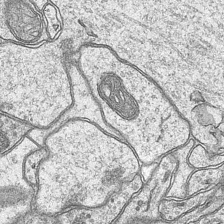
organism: Mouse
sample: CA1 Hippocampus